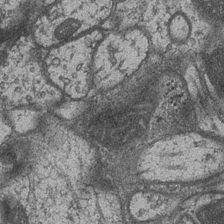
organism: Drosophila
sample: Optic medulla